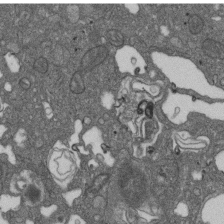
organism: Drosophila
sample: Nephrocyte